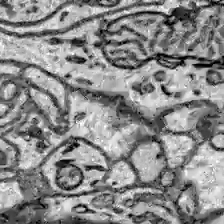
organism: Zebrafish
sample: Brain